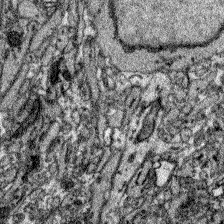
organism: Zebrafish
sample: Larval olfactory bulb